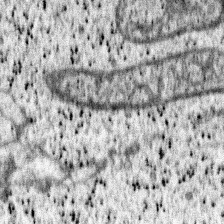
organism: Human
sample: HeLa cells